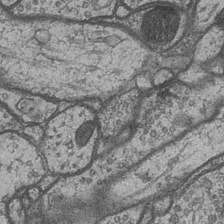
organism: Drosophila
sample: Optic medulla